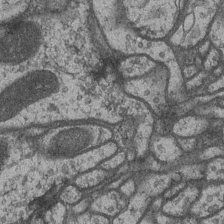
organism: Drosophila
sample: Optic medulla